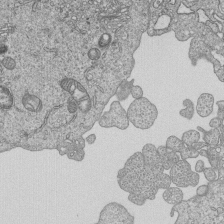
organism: Human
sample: MDA-MB-231 cells